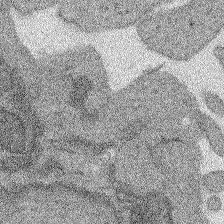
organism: Human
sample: HeLa cells